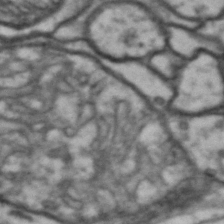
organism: Drosophila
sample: Brain